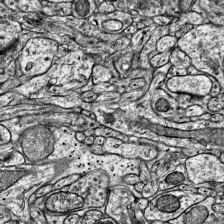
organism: Mouse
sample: Visual Cortex